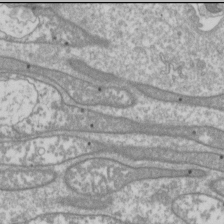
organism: Drosophila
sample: Cell division; meiosis; drosophila spermatocytes